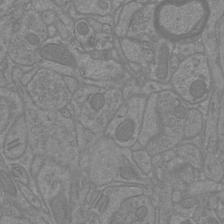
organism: Mouse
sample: Cortical neurons